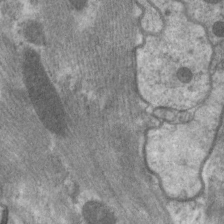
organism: C. elegans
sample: Pharynx